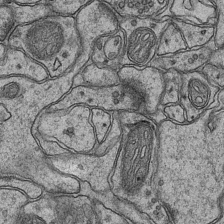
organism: Mouse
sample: CA1 Hippocampus